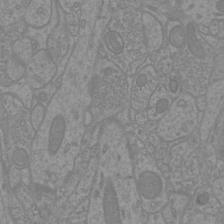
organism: Mouse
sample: Cortical neurons